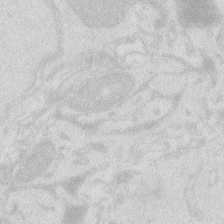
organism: Zebrafish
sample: Macrophage